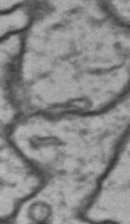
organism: Drosophila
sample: Brain